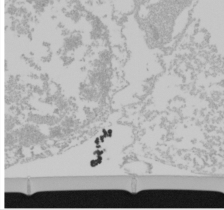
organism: Mouse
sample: Cancer cell death in ED-1 cells